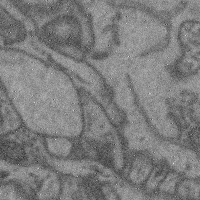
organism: Mouse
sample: Cerebral cortex